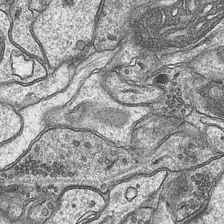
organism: Mouse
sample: CA1 Hippocampus